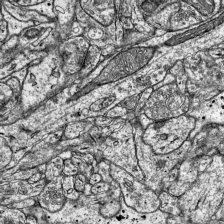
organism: Mouse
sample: Visual Cortex